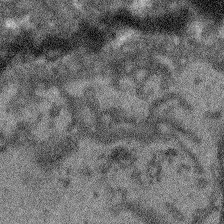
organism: Arabidopsis thaliana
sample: Root tip